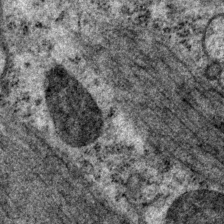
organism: P. pacificus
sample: Pharynx